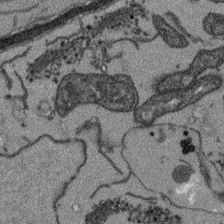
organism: Arabidopsis thaliana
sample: Root tip